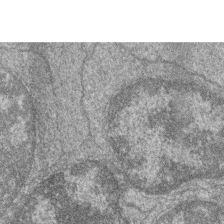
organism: Zebrafish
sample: Cilia; retinal pigment epithelium